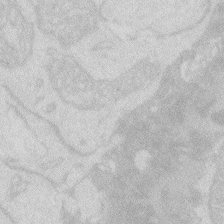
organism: Zebrafish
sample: Macrophage